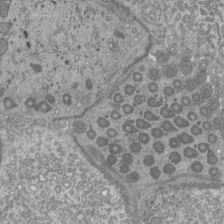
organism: Mouse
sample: Cilia; mouse epididymis